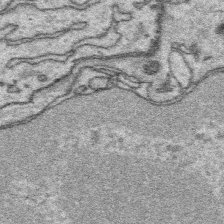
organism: Platynereis dumerilii